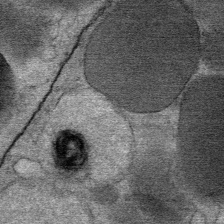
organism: Mouse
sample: Mouse Salivary gland